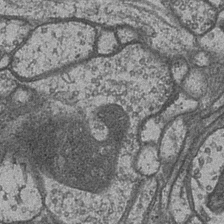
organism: Drosophila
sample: Optic medulla